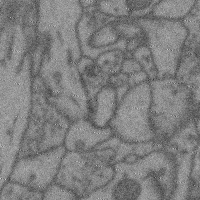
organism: Mouse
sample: Cerebral cortex